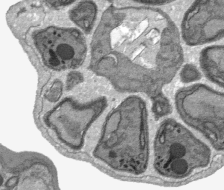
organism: Plasmodium falciparum